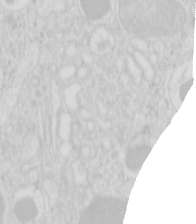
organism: Mouse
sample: Pancreas